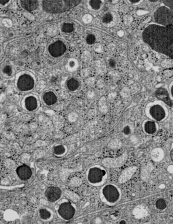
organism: C57BL Mouse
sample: Pancreatic islet